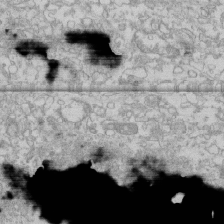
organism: Human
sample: CRL-1474